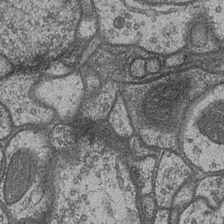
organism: Drosophila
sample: Optic medulla